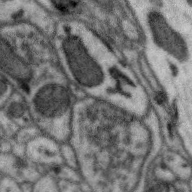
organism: Zebra finch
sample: Brain